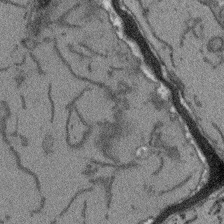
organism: Arabidopsis thaliana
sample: Root tip